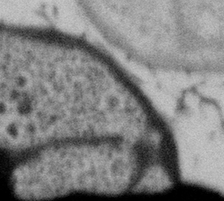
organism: Gemmata obscuriglobus